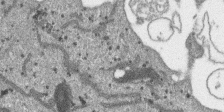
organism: Human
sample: Lung epithelial cells infected with SARS-CoV-2